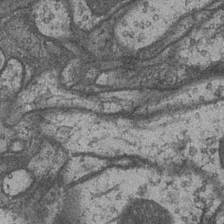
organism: Drosophila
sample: Optic medulla